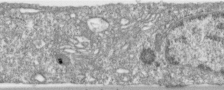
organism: Human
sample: Centriole in RPE cells